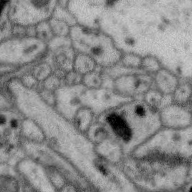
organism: Zebra finch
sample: Brain